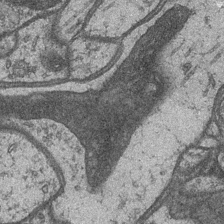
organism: Drosophila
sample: Optic medulla